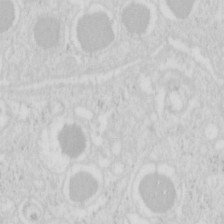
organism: Mouse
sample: Pancreas